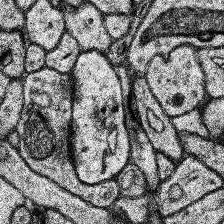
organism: Human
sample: Temporal Lobe